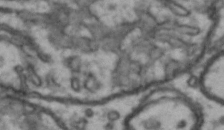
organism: Drosophila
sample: Brain